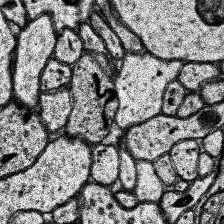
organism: Human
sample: Temporal Lobe